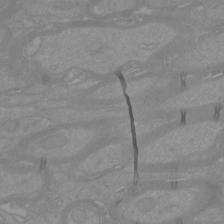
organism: Mouse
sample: Cortical neurons